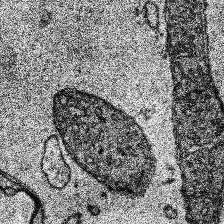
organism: Human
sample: Temporal Lobe